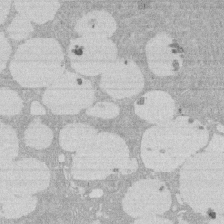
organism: Rat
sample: Salivary granule